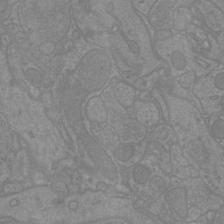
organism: Mouse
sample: Cortical neurons